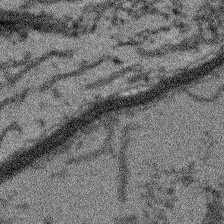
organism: Arabidopsis thaliana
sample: Root tip